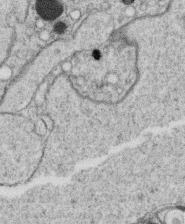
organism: C. elegans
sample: C. elegans oocyte; sperm cells